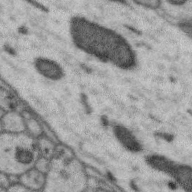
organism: Zebra finch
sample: Brain